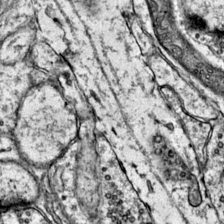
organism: Mouse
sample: Primary visual cortex